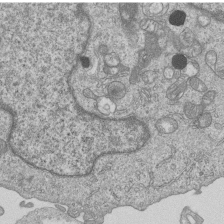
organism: Human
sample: MDA-MB-231 cells